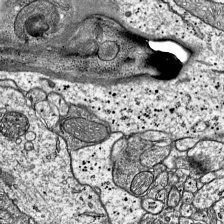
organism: Mouse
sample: Visual Cortex